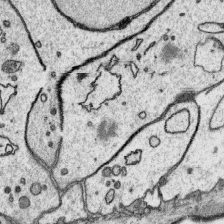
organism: Platynereis dumerilii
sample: Parapodia